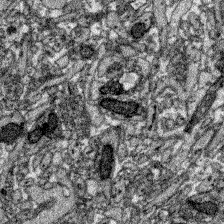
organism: Zebrafish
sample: Larval olfactory bulb